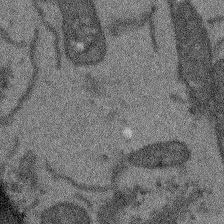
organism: Arabidopsis thaliana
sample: Root tip